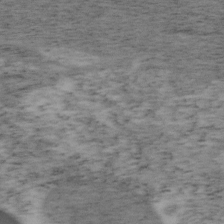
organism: Mouse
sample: OT-I killer T cells with ID8 ovarian cancer cells